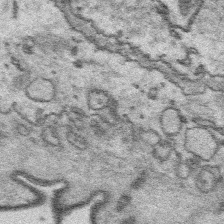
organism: Platynereis dumerilii